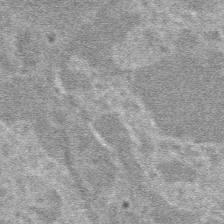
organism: Mouse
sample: Mouse hepatocytes